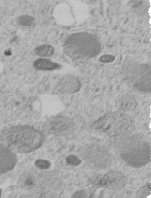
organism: C. elegans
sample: C. elegans embryo early stage